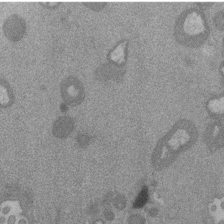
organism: Mouse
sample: Dividing mouse embryo 1 cell stage